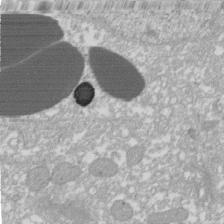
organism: Xenopus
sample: Cilia; centrioles in frog embryo cells